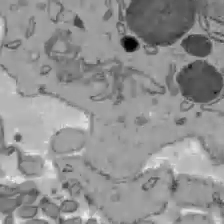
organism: C57BL Mouse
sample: Liver